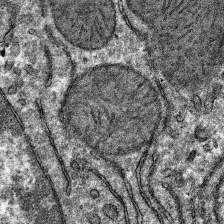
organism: Mouse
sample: Mouse hepatocytes